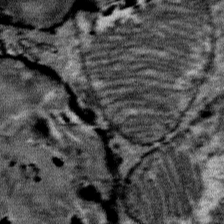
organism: Mouse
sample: Mouse Salivary gland